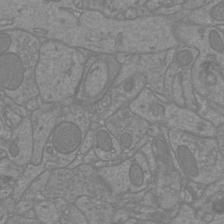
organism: Mouse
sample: Cortical neurons